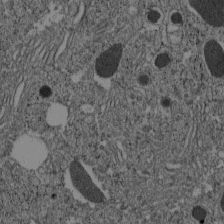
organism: C57BL Mouse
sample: Pancreatic islet